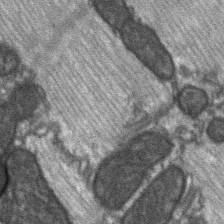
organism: C57BL Mouse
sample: Soleus